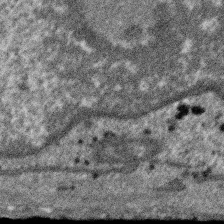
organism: Human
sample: Lung epithelial cells infected with SARS-CoV-2